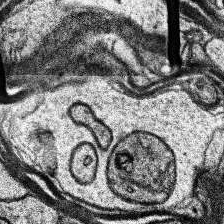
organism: Human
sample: Temporal Lobe